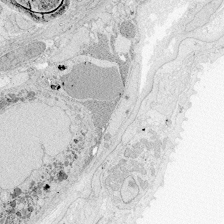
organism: Zebrafish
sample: Whole-Brain